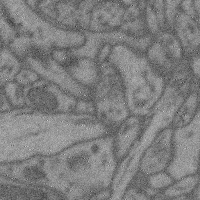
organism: Mouse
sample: Cerebral cortex